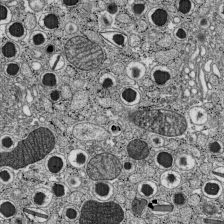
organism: C57BL Mouse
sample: Pancreatic islet